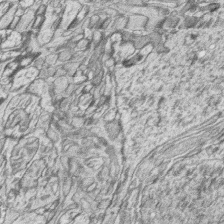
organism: Zebrafish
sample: synaptic ribbons in rod cells and cone cells